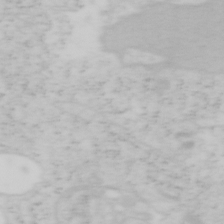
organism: Mouse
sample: OT-I killer T cells with ID8 ovarian cancer cells